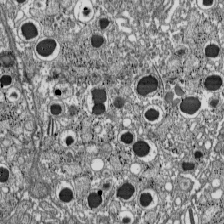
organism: C57BL Mouse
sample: Pancreatic islet